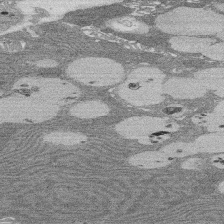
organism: Rat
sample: Salivary granule